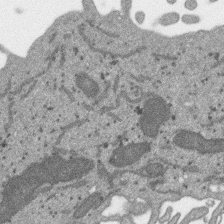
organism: Human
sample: Lung epithelial cells infected with SARS-CoV-2